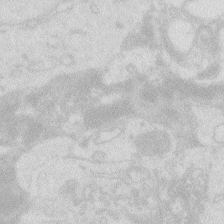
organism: Zebrafish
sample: Macrophage